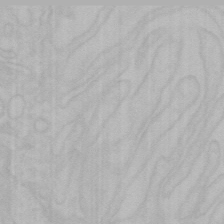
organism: Mouse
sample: Choroid plexus